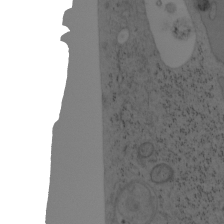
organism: Mouse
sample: OT-I killer T cells with ID8 ovarian cancer cells